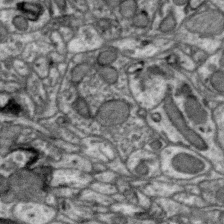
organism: Zebra finch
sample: Brain